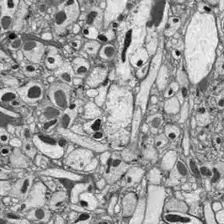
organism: Drosophila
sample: Optic lobe